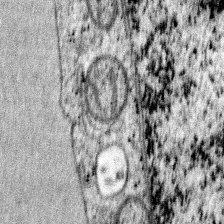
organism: Human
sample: HeLa cells